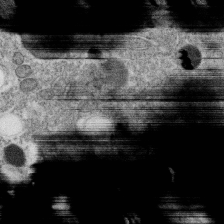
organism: C. elegans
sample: C. elegans oocyte; sperm cells